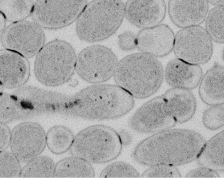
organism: E. coli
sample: Bacterial nucleoid